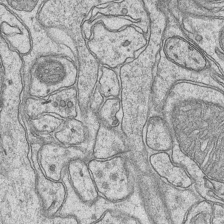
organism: Mouse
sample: CA1 Hippocampus